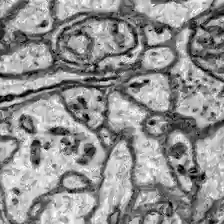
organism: Zebrafish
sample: Brain